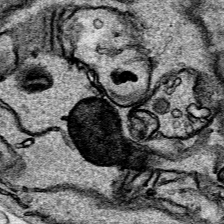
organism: Human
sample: Mitochondria in HCT116 cells